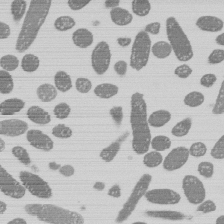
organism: E. coli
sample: Bacterial nucleoid